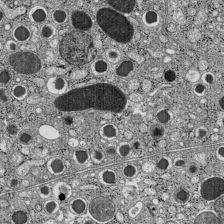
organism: C57BL Mouse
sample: Pancreatic islet